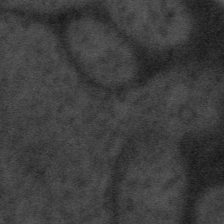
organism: Tuwongella immobilis